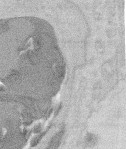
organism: Mouse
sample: T cell stromal cell synapse